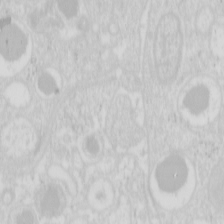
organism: Mouse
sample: Pancreas